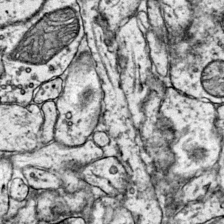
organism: Mouse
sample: Primary visual cortex